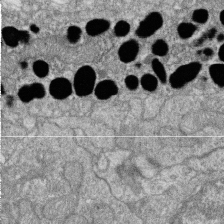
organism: Zebrafish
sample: Cilia; retinal pigment epithelium